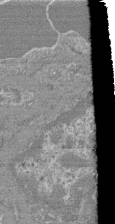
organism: Mouse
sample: Glomerulus